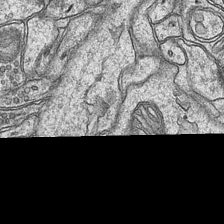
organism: Mouse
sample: CA1 Hippocampus